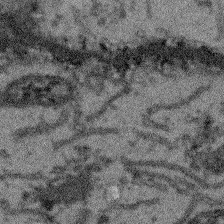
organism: Arabidopsis thaliana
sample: Root tip